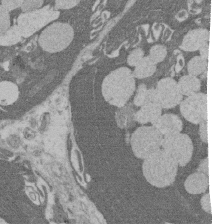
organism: Rat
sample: Salivary granule